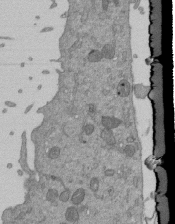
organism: Mouse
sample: ED-1 cell nuclei; centrioles